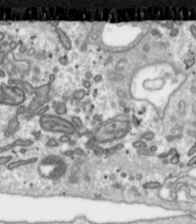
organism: Toxoplasma gondii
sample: Parasites in a vacuole inside a host cell